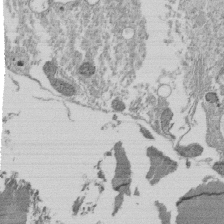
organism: Tetrahymena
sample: Cilia in tetrahymena